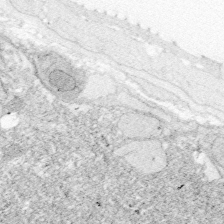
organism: Zebrafish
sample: Whole-Brain